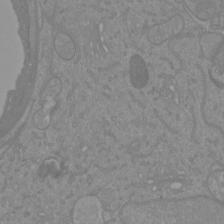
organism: Mouse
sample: Cortical neurons